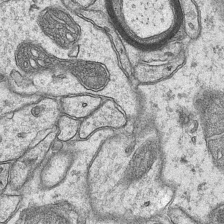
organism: Mouse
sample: CA1 Hippocampus